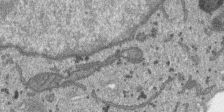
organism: Human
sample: Lung epithelial cells infected with SARS-CoV-2